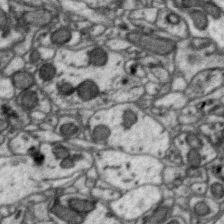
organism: Zebra finch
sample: Brain